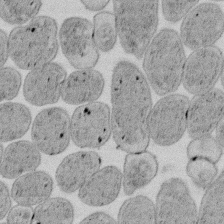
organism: E. coli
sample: Bacterial nucleoid